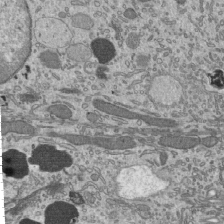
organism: Mouse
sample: Mouse epididymis efferent ductule cilia